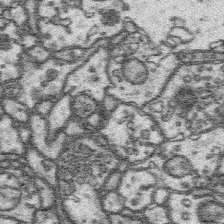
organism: Platynereis dumerilii